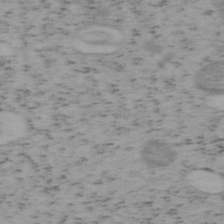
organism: Mouse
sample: OT-I killer T cells with ID8 ovarian cancer cells